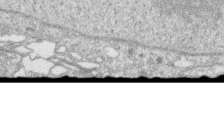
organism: Human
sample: HeLa cell HIV synapse